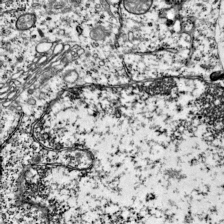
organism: Mouse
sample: Visual Cortex